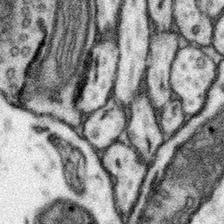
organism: Mouse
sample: Somatosensory cortex neuropil